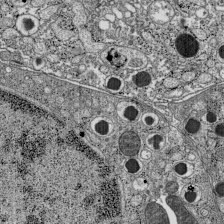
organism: C57BL Mouse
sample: Pancreatic islet